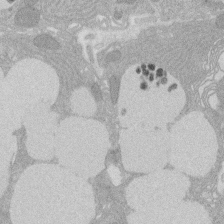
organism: Rat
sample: Salivary granule